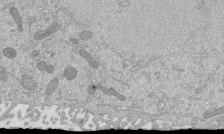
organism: Mouse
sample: ED-1 cell nuclei; centrioles